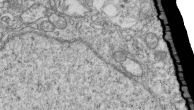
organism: Human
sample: HeLa cell HIV synapse